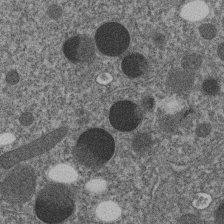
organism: C. elegans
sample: C. elegans embryo early stage